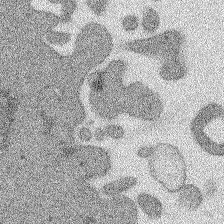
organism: Human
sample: HeLa cells